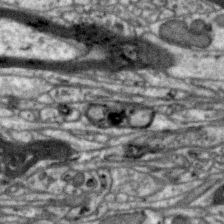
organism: Zebra finch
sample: Brain